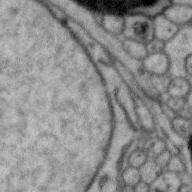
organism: Zebra finch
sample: Brain